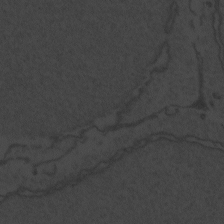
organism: Zebrafish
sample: Macrophage infected with Toxoplasma gondii